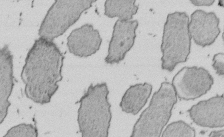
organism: E. coli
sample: Bacterial nucleoid